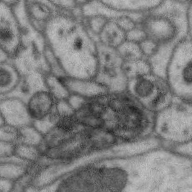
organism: Zebra finch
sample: Brain